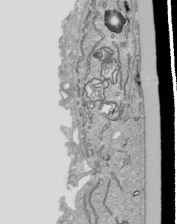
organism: Human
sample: Mitochondria in HCT116 cells